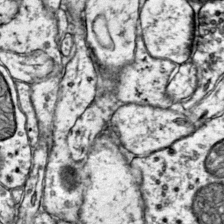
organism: Mouse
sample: Primary visual cortex